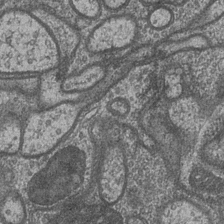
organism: Drosophila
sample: Optic medulla